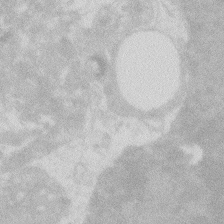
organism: Zebrafish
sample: Macrophage